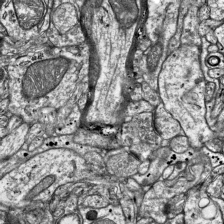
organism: Mouse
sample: Visual Cortex